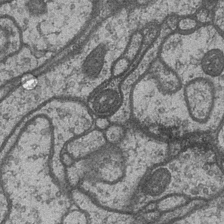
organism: Drosophila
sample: Optic medulla